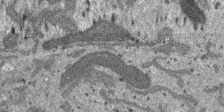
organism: Human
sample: Lung epithelial cells infected with SARS-CoV-2